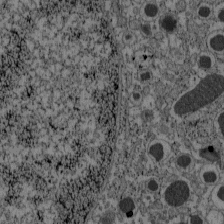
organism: C57BL Mouse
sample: Pancreatic islet